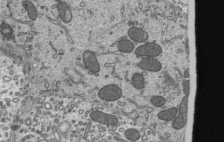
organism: Mouse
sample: Mouse epididymis efferent ductule cilia